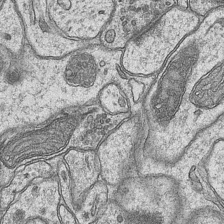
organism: Mouse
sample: CA1 Hippocampus